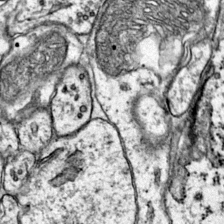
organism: Mouse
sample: Primary visual cortex